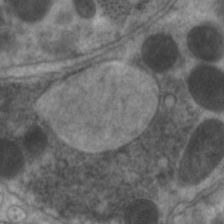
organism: C. elegans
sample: Pharynx